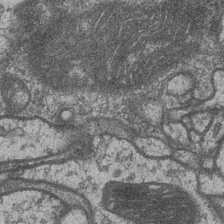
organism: Drosophila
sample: Optic medulla